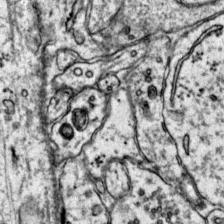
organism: Mouse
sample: Primary visual cortex